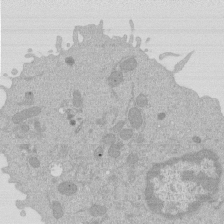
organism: Mouse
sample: Activated Pmel transgenic CD8+ T Cells